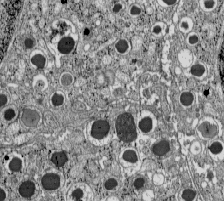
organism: C57BL Mouse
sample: Pancreatic islet